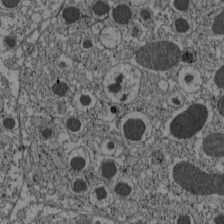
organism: C57BL Mouse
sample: Pancreatic islet